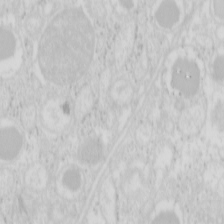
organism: Mouse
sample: Pancreas